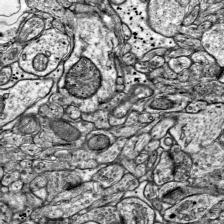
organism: Mouse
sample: Visual Cortex